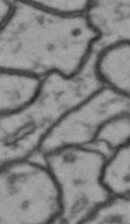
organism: Drosophila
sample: Brain